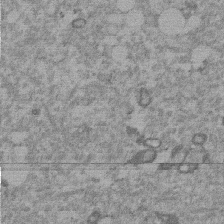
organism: Mouse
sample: Dividing mouse embryo 1 cell stage